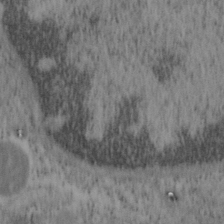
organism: Mouse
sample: OT-I killer T cells with ID8 ovarian cancer cells